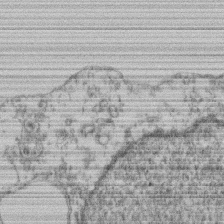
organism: Mouse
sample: T cell stromal cell synapse